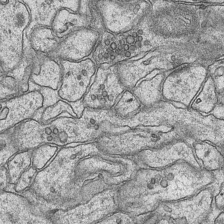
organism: Mouse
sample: CA1 Hippocampus